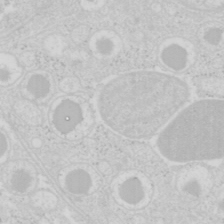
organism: Mouse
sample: Pancreas